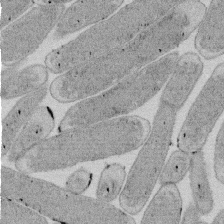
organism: E. coli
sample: Bacterial nucleoid